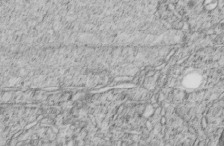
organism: C. elegans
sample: C. elegans embryo early stage